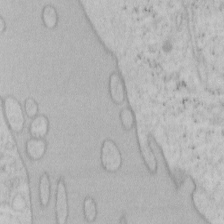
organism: Human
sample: HeLa cells